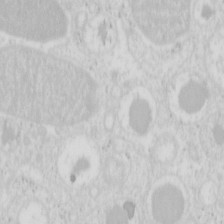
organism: Mouse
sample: Pancreas